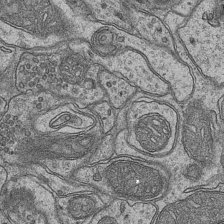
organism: Mouse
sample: CA1 Hippocampus